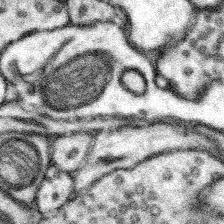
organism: Mouse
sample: Somatosensory cortex neuropil